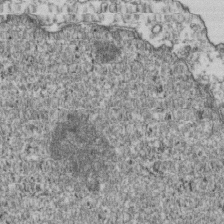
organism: Human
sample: Activated Jurkat CD4+ T cells